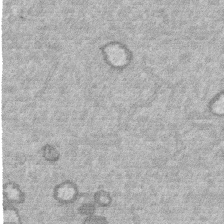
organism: Mouse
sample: Dividing mouse embryo 1 cell stage